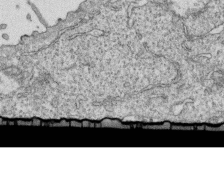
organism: Human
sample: HeLa cell HIV synapse